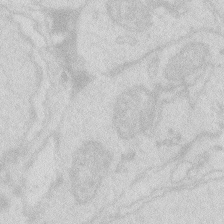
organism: Zebrafish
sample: Macrophage